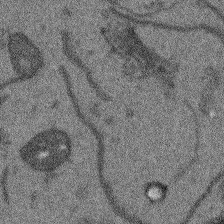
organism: Arabidopsis thaliana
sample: Root tip